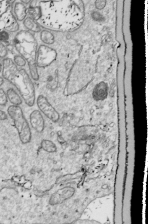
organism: Drosophila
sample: Cell division; meiosis; drosophila spermatocytes